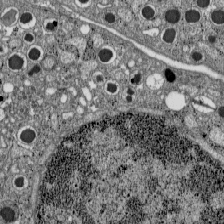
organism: C57BL Mouse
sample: Pancreatic islet